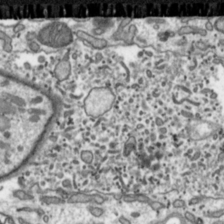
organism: Toxoplasma gondii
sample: Parasites in a vacuole inside a host cell